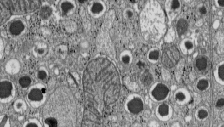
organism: C57BL Mouse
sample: Pancreatic islet